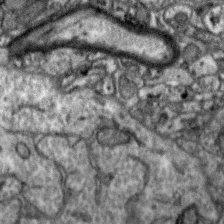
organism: Zebra finch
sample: Brain